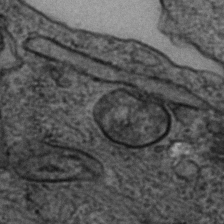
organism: Zebrafish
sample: Zebrafish embryo